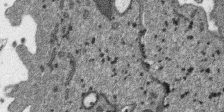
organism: Human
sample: Lung epithelial cells infected with SARS-CoV-2